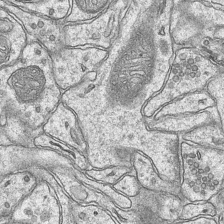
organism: Mouse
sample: CA1 Hippocampus